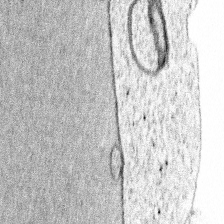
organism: Human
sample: HeLa cells